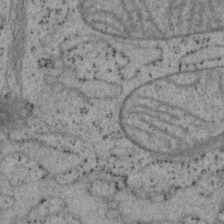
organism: Human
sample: HeLa cells